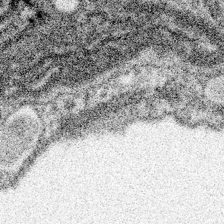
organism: Spongilla lacustris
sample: Neuroid cell